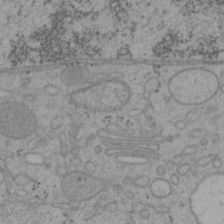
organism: Human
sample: HeLa cells